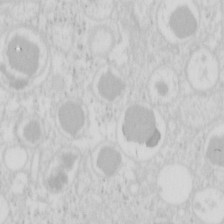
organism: Mouse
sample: Pancreas